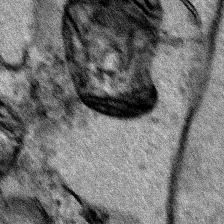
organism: Human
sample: Mitochondria in HCT116 cells